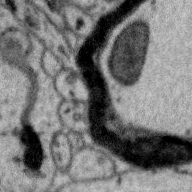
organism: Zebra finch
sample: Brain